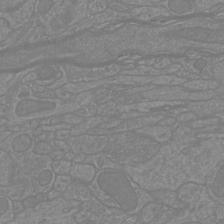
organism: Mouse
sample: Cortical neurons